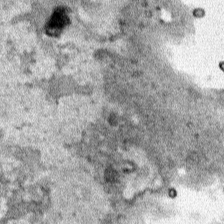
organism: Human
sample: Mitochondria in HCT116 cells